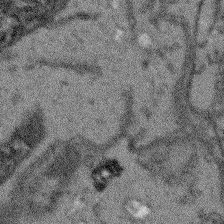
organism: Arabidopsis thaliana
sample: Root tip